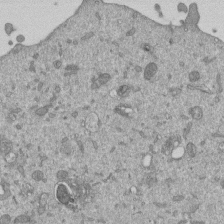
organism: Mouse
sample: ED-1 cell nuclei; centrioles